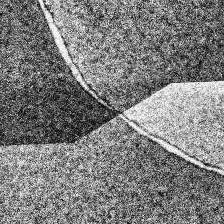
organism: Human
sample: Temporal Lobe